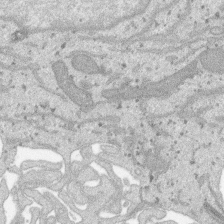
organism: Human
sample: Lung epithelial cells infected with SARS-CoV-2